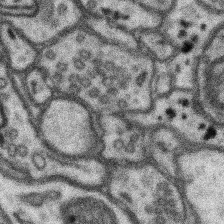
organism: Mouse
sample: Somatosensory cortex neuropil